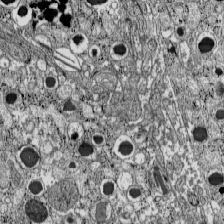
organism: C57BL Mouse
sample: Pancreatic islet